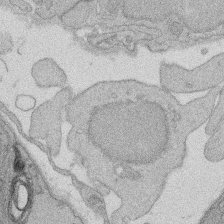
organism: Rat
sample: Salivary granule